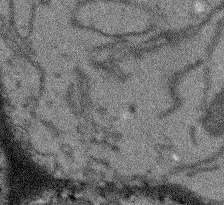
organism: Arabidopsis thaliana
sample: Root tip